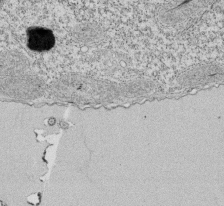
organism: Tetrahymena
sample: Cilia in tetrahymena